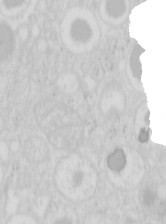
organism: Mouse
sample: Pancreas